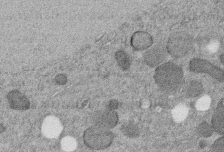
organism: C. elegans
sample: C. elegans embryo early stage